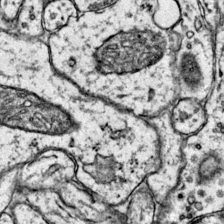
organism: Mouse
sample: Primary visual cortex